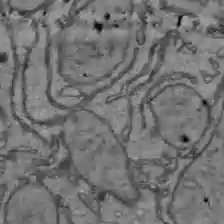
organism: C57BL Mouse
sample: Liver